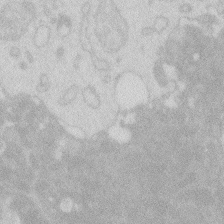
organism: Zebrafish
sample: Macrophage